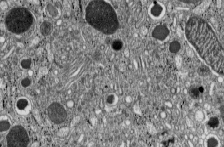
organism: C57BL Mouse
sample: Pancreatic islet